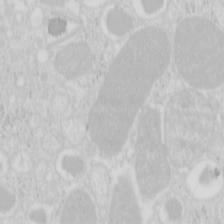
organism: Mouse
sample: Pancreas